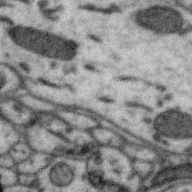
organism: Zebra finch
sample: Brain